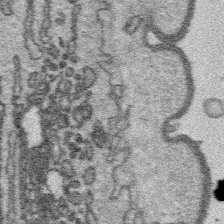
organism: Platynereis dumerilii